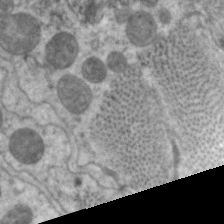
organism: C. elegans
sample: Pharynx